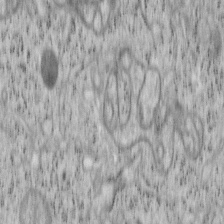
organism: Human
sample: HeLa cells